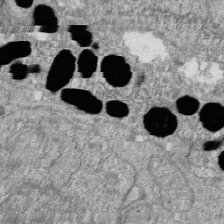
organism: Zebrafish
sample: Cilia; retinal pigment epithelium